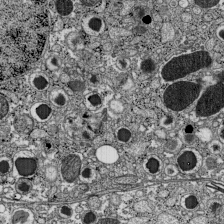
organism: C57BL Mouse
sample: Pancreatic islet